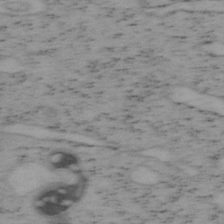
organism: Mouse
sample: OT-I killer T cells with ID8 ovarian cancer cells